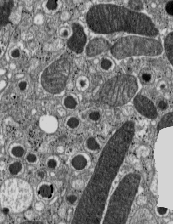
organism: C57BL Mouse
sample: Pancreatic islet